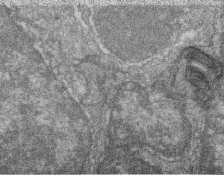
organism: Zebrafish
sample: Cilia; retinal pigment epithelium